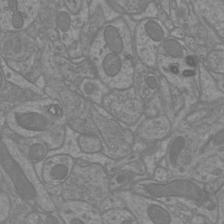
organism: Mouse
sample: Cortical neurons